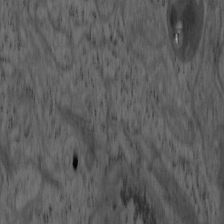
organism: Human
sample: HeLa cells